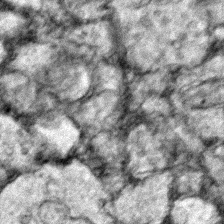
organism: Zebrafish